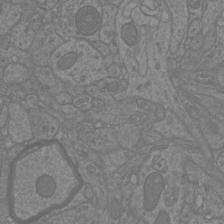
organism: Mouse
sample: Cortical neurons